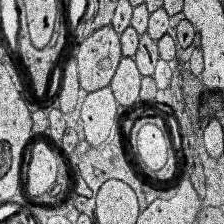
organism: Human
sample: Temporal Lobe